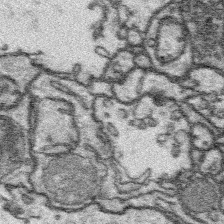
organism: Platynereis dumerilii